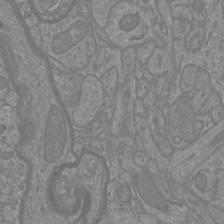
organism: Mouse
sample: Cortical neurons